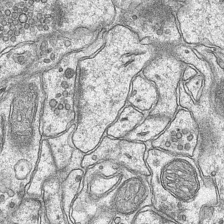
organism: Mouse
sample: CA1 Hippocampus